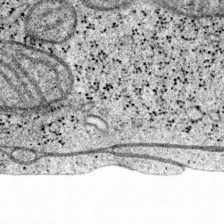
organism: Human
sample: HeLa cells